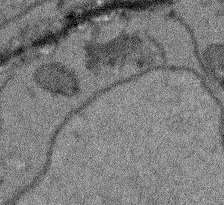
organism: Arabidopsis thaliana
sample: Root tip